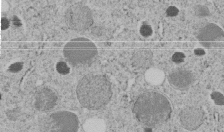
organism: C. elegans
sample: C. elegans embryo early stage